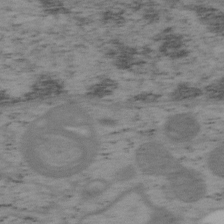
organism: Mouse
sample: OT-I killer T cells with ID8 ovarian cancer cells